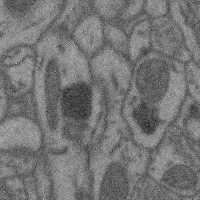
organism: Mouse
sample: Cerebral cortex